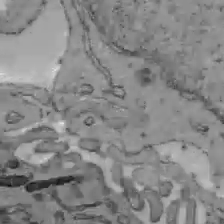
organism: C57BL Mouse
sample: Liver